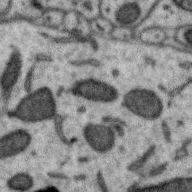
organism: Zebra finch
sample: Brain